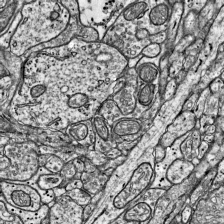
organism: Mouse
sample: Visual Cortex